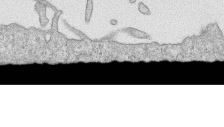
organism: Human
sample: HeLa cell HIV synapse